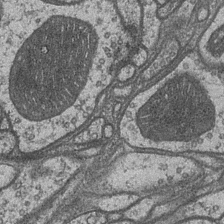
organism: Drosophila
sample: Optic medulla